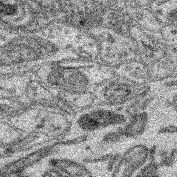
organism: Mouse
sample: Retina